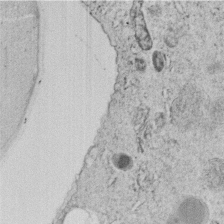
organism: C. elegans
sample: C. elegans embryo early stage